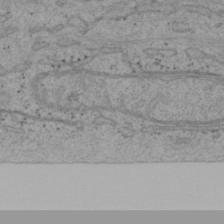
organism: Human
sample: HeLa cells